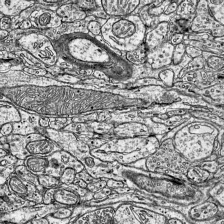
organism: Mouse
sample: Visual Cortex